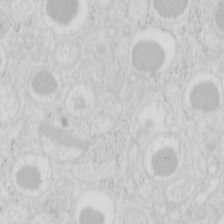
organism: Mouse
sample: Pancreas